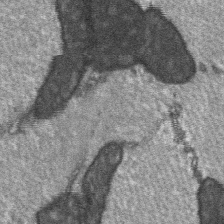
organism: C57BL Mouse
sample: Soleus